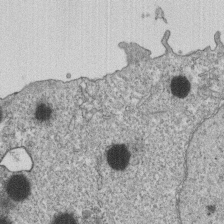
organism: Human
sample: HeLa cell HIV synapse